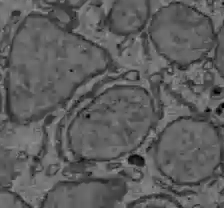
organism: C57BL Mouse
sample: Liver